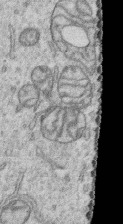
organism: Human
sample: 1205lu cells